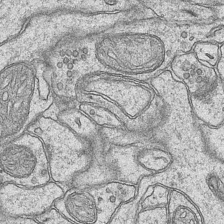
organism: Mouse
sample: CA1 Hippocampus